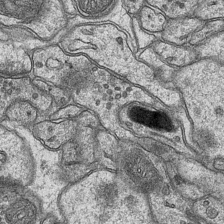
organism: Mouse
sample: CA1 Hippocampus